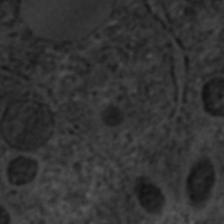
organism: C. elegans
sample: C. elegans embryo